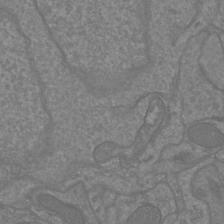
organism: Mouse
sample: Cortical neurons